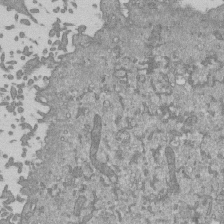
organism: Mouse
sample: ED-1 cell nuclei; centrioles